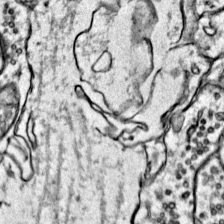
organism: Mouse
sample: Primary visual cortex